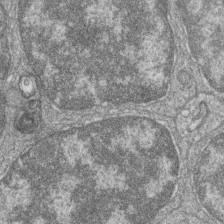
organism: Zebrafish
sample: Cilia; retinal pigment epithelium